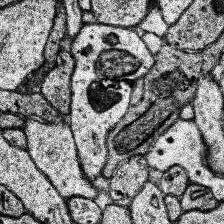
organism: Human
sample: Temporal Lobe